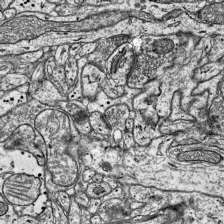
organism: Mouse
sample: Visual Cortex